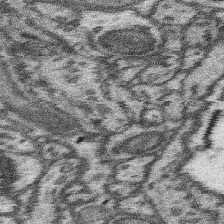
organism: Mouse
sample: Somatosensory cortex neuropil